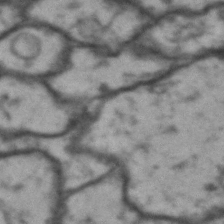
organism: Drosophila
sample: Brain